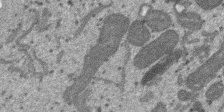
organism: Human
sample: Lung epithelial cells infected with SARS-CoV-2